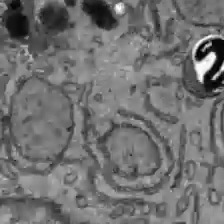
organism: C57BL Mouse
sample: Liver